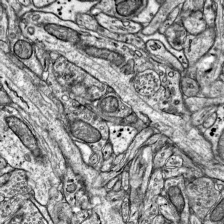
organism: Mouse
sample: Visual Cortex